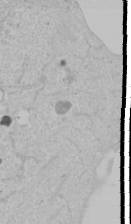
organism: Human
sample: Mitochondria in U2OS cells